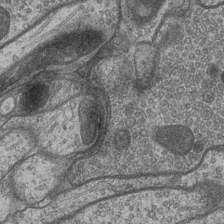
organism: Drosophila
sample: Optic medulla